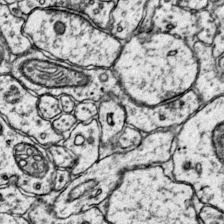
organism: Mouse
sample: Primary visual cortex